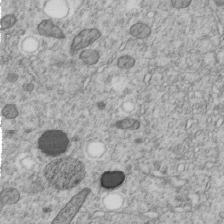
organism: C. elegans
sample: C. elegans embryo early stage